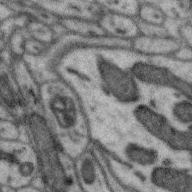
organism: Zebra finch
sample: Brain